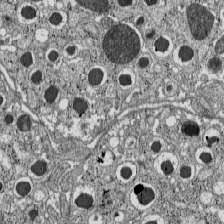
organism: C57BL Mouse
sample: Pancreatic islet